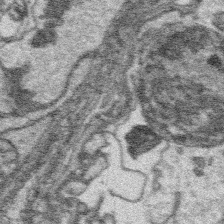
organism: Platynereis dumerilii